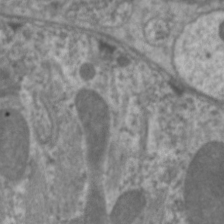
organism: C. elegans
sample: Pharynx